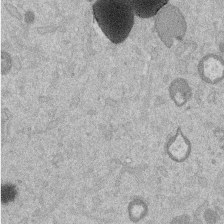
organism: Mouse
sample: Dividing mouse embryo 1 cell stage